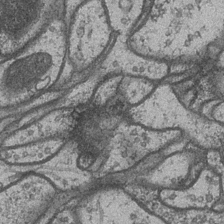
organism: Drosophila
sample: Optic medulla